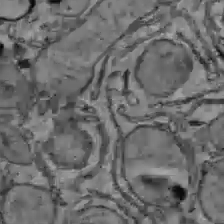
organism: C57BL Mouse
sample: Liver